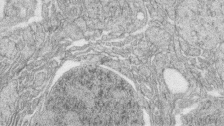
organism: Zebrafish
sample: synaptic ribbons in rod cells and cone cells